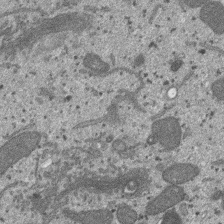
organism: Human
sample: Lung epithelial cells infected with SARS-CoV-2